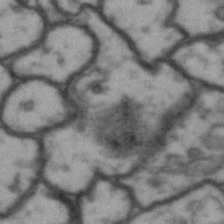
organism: Drosophila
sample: Brain